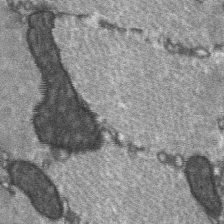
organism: C57BL Mouse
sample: Soleus